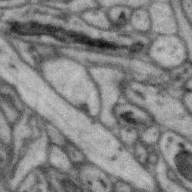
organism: Zebra finch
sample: Brain